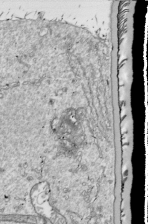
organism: Drosophila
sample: Cell division; meiosis; drosophila spermatocytes